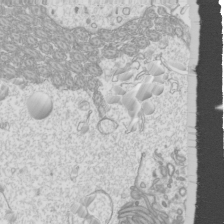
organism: Mouse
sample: Cilia; mouse epididymis